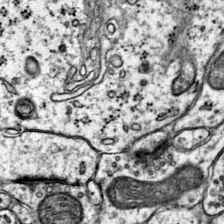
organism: Mouse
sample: Primary visual cortex